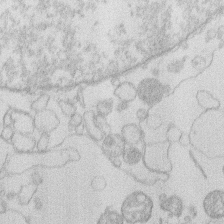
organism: Human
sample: Macrophage cells